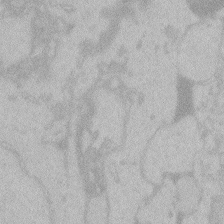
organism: Zebrafish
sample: Macrophage infected with Toxoplasma gondii